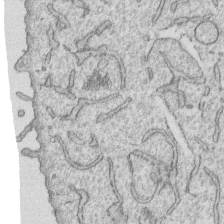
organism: Human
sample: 1205lu cells